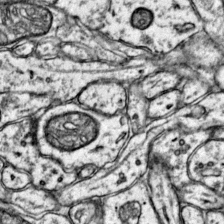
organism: Mouse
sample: Primary visual cortex